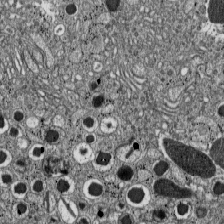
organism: C57BL Mouse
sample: Pancreatic islet